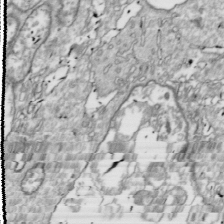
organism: Drosophila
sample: Cell division; meiosis; drosophila spermatocytes